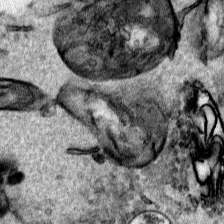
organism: Human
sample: Mitochondria in HCT116 cells